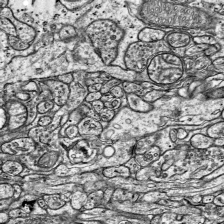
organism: Mouse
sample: Visual Cortex